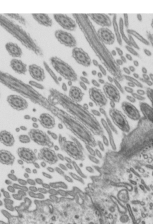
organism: Mouse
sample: Mouse epididymis efferent ductule cilia